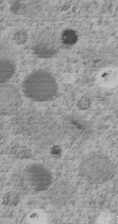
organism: C. elegans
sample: C. elegans embryo early stage